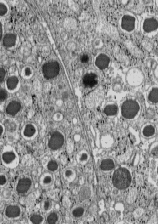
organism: C57BL Mouse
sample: Pancreatic islet